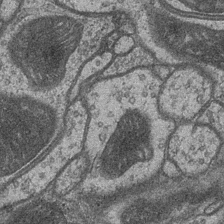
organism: Drosophila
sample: Optic medulla